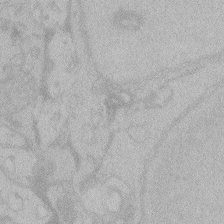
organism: Zebrafish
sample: Macrophage infected with Toxoplasma gondii